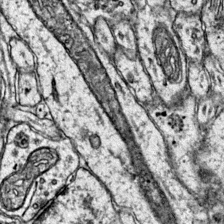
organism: Mouse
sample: Primary visual cortex